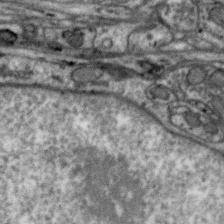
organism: Zebra finch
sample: Brain